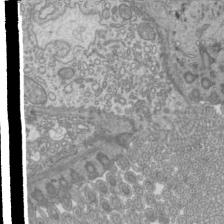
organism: Mouse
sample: Cilia; mouse epididymis